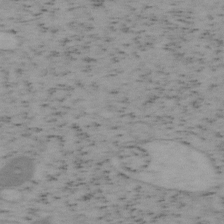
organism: Mouse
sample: OT-I killer T cells with ID8 ovarian cancer cells